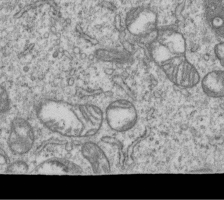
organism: Human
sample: MDA-MB-231 cells